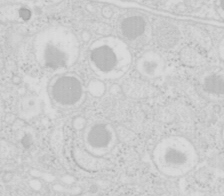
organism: Mouse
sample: Pancreas